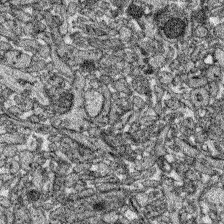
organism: Zebrafish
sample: Larval olfactory bulb